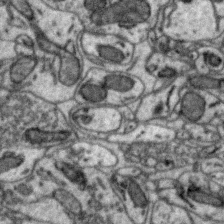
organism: Zebra finch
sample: Brain